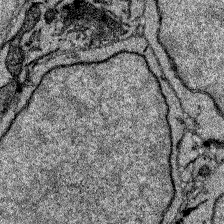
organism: Zebrafish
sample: Larval olfactory bulb